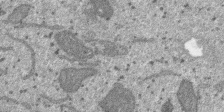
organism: Human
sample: Lung epithelial cells infected with SARS-CoV-2